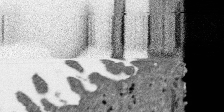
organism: Human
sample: Lung epithelial cells, uninfected (mock) control